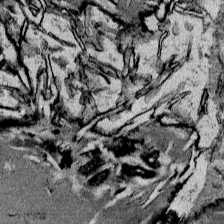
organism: Mouse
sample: Mouse Salivary gland